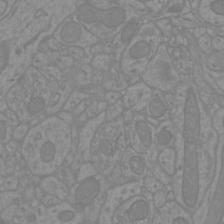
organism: Mouse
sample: Cortical neurons